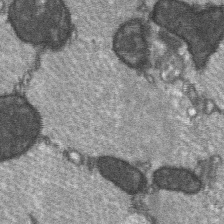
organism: C57BL Mouse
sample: Soleus